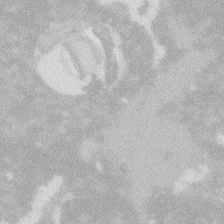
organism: Zebrafish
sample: Macrophage